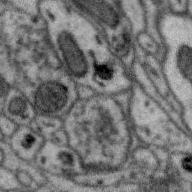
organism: Zebra finch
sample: Brain